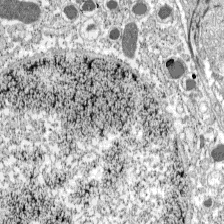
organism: C57BL Mouse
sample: Pancreatic islet